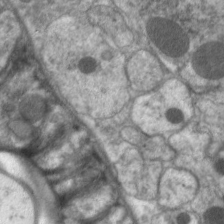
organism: C. elegans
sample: Pharynx